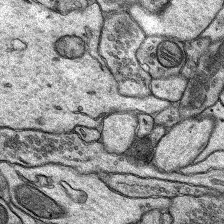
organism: Rat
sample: Hippocampus